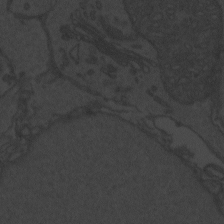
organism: Zebrafish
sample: Macrophage infected with Toxoplasma gondii